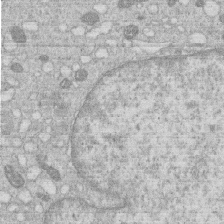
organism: Human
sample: Macrophage cells